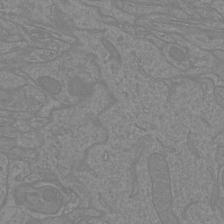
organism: Mouse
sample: Cortical neurons